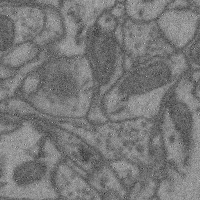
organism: Mouse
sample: Cerebral cortex